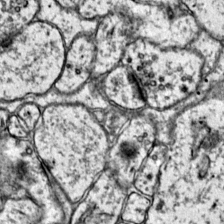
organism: Mouse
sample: Primary visual cortex